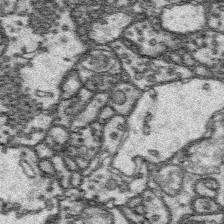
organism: Platynereis dumerilii